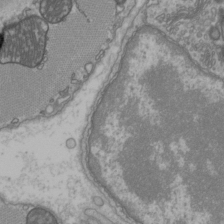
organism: C57BL Mouse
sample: Heart